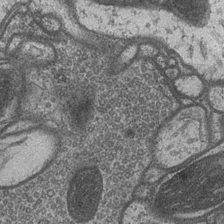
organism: Drosophila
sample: Optic medulla